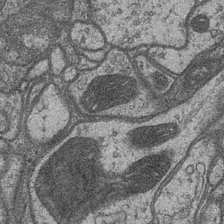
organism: Drosophila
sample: Optic medulla